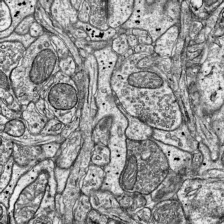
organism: Mouse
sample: Visual Cortex